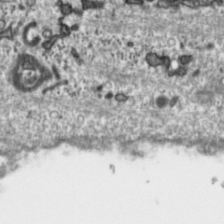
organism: Toxoplasma gondii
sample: Parasites in a vacuole inside a host cell